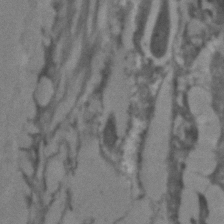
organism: C. elegans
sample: C. elegans embryo